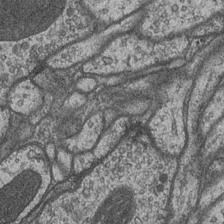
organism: Drosophila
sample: Optic medulla